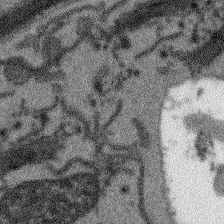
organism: Arabidopsis thaliana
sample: Root tip